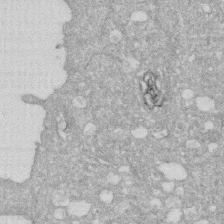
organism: Human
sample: HIV infected U937 cells